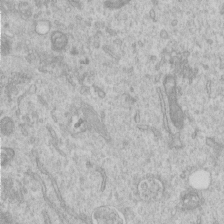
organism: Human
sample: Centriole in RPE cells